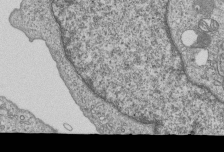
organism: Human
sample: MDA-MB-231 cells